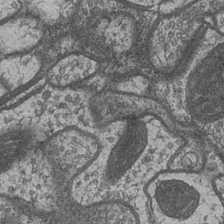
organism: Drosophila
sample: Optic medulla